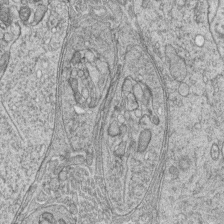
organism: Zebrafish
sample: synaptic ribbons in rod cells and cone cells